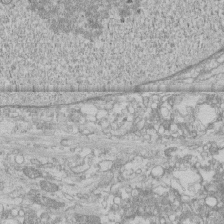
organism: Human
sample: CRL-1474